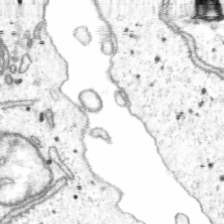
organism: Human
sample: HeLa cells